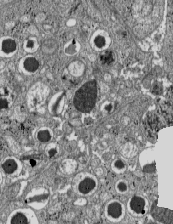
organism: C57BL Mouse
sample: Pancreatic islet